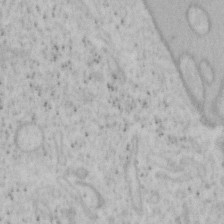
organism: Human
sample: HeLa cells